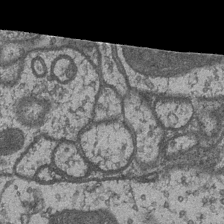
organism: Drosophila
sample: Optic medulla